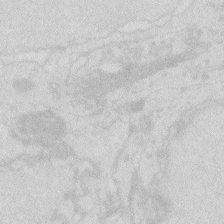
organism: Zebrafish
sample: Macrophage